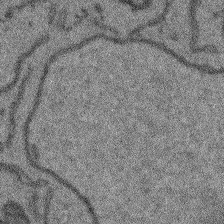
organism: Arabidopsis thaliana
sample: Root tip